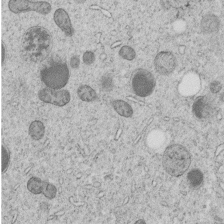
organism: C. elegans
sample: C. elegans embryo early stage